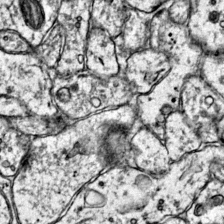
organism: Mouse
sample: Primary visual cortex